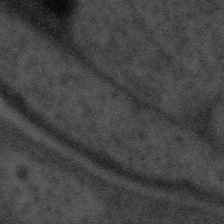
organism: Tuwongella immobilis